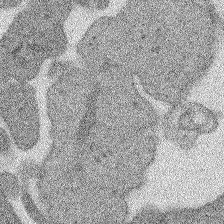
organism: Human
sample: HeLa cells